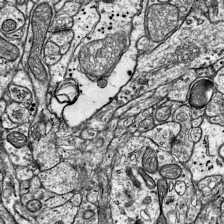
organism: Mouse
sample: Visual Cortex